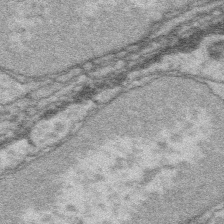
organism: Platynereis dumerilii